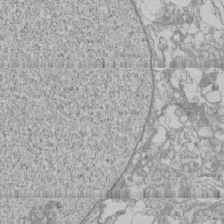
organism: Human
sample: CRL-1474